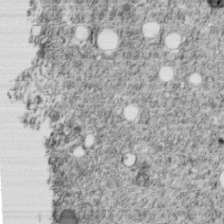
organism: C. elegans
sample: C. elegans embryo early stage